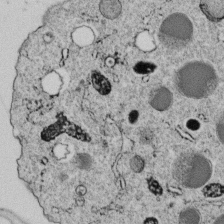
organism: C. elegans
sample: C. elegans embryo early stage